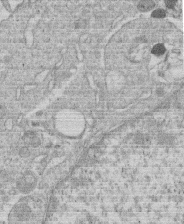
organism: Human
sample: Macrophage cells